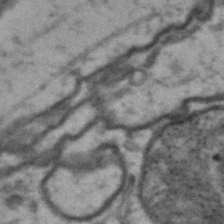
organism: Drosophila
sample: Brain